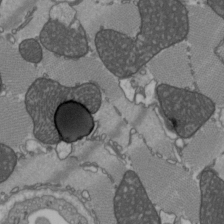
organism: C57BL Mouse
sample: Heart